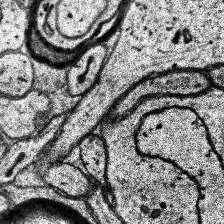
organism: Human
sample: Temporal Lobe